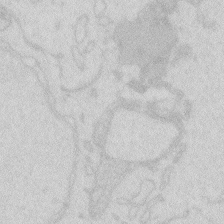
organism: Zebrafish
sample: Macrophage